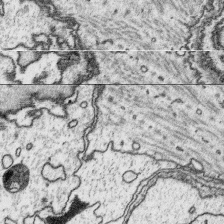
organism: Platynereis dumerilii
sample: Parapodia